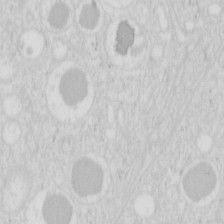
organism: Mouse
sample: Pancreas